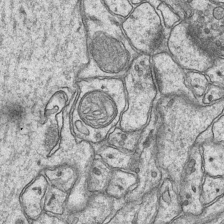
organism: Mouse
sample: CA1 Hippocampus